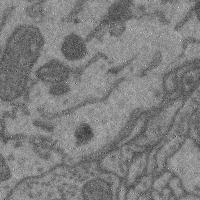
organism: Mouse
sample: Cerebral cortex